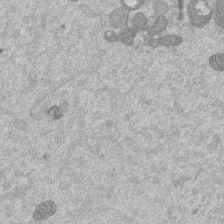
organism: Mouse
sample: Dividing mouse embryo 1 cell stage